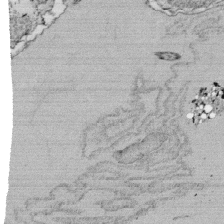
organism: Tetrahymena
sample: Cilia in tetrahymena